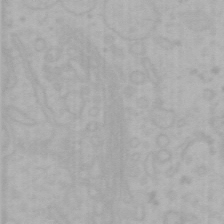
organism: Mouse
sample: Choroid plexus